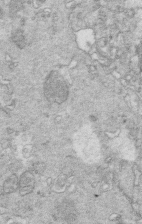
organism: Mouse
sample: Multiciliated cells